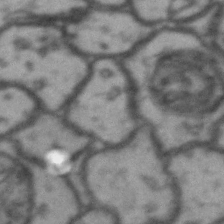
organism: Drosophila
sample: Brain